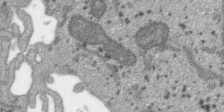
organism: Human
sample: Lung epithelial cells infected with SARS-CoV-2